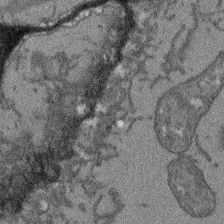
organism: Arabidopsis thaliana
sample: Root tip